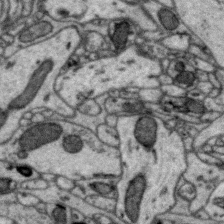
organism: Zebra finch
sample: Brain